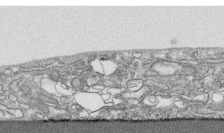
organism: Human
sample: CRL-1474